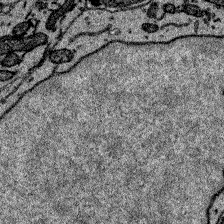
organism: Zebrafish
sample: Larval olfactory bulb